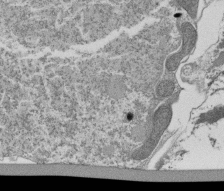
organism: Tetrahymena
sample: Cilia in tetrahymena